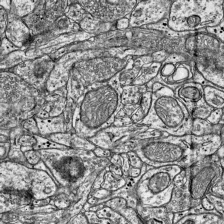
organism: Mouse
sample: Visual Cortex